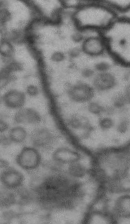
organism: Drosophila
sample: Brain